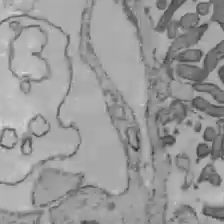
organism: C57BL Mouse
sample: Liver